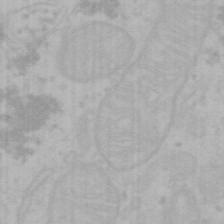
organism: Mouse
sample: Choroid plexus